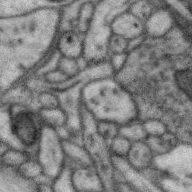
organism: Zebra finch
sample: Brain